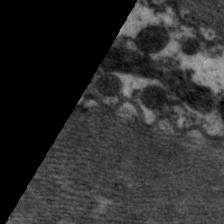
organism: C. elegans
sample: Pharynx